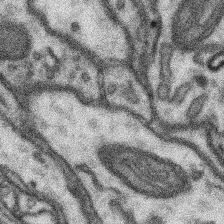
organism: Mouse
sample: Somatosensory cortex neuropil